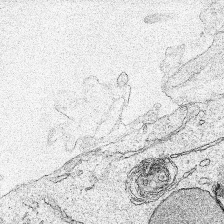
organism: Human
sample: Mitochondria in HCT116 cells